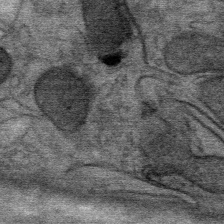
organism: Mouse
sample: Mouse Salivary gland